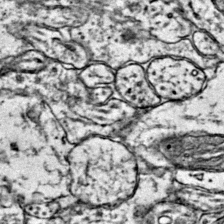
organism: Mouse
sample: Primary visual cortex